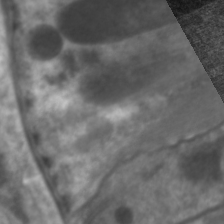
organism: C. elegans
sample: Pharynx